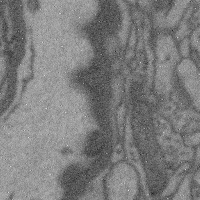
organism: Mouse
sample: Cerebral cortex